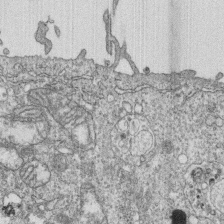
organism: Human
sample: HeLa cell HIV synapse